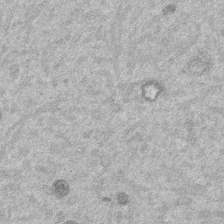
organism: Mouse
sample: Dividing mouse embryo 1 cell stage